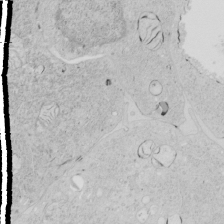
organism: Human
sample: Mitochondria in HCT116 cells